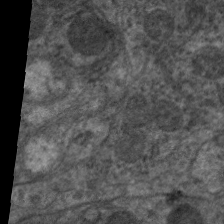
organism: C. elegans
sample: Pharynx